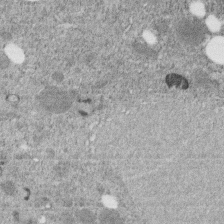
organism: C. elegans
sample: C. elegans embryo early stage